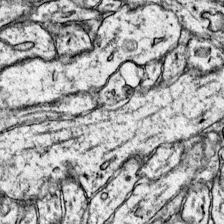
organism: Mouse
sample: Primary visual cortex